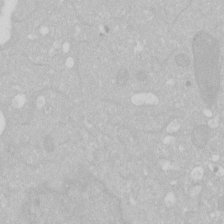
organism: Human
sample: HIV infected U937 cells